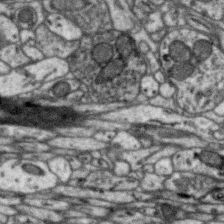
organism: Zebra finch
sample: Brain